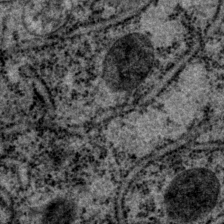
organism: P. pacificus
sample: Pharynx